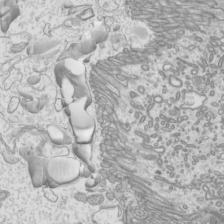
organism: Mouse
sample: Cilia; mouse epididymis